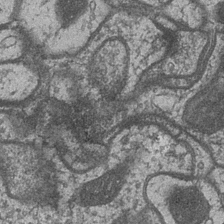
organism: Drosophila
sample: Optic medulla